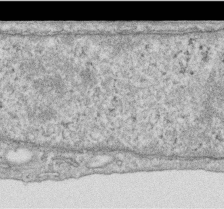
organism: Human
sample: Centriole in RPE cells